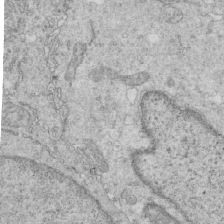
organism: Mouse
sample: Multiciliated cells